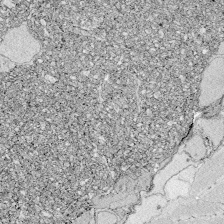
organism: Zebrafish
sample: Whole-Brain